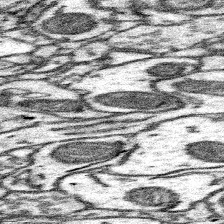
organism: Mouse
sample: Somatosensory cortex neuropil